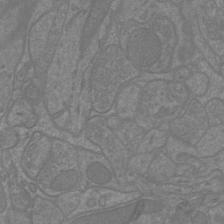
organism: Mouse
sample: Cortical neurons